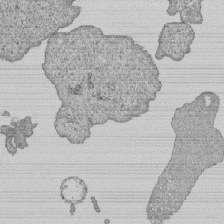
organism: Human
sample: MDA-MB-231 cells